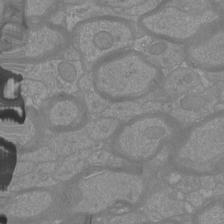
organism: Mouse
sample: Cortical neurons